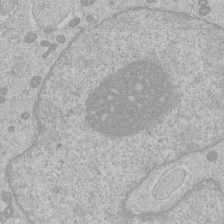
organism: Human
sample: Macrophage cells